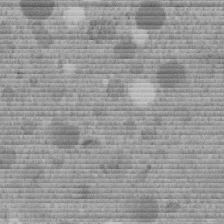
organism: C. elegans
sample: C. elegans embryo early stage